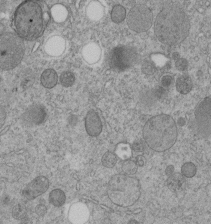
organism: C. elegans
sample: C. elegans embryo early stage